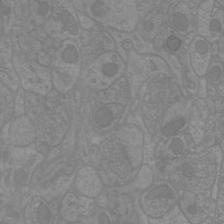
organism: Mouse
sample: Cortical neurons